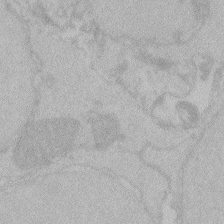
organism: Zebrafish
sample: Macrophage infected with Toxoplasma gondii